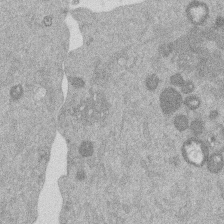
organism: Mouse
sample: Dividing mouse embryo 1 cell stage